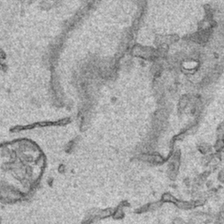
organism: Human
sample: Mitochondria in HCT116 cells